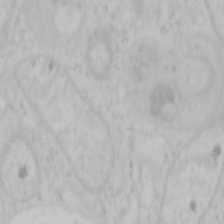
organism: Mouse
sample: OT-I killer T cells with ID8 ovarian cancer cells